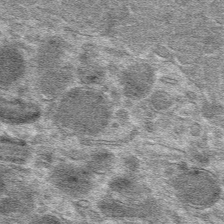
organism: Mouse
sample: Mouse hepatocytes